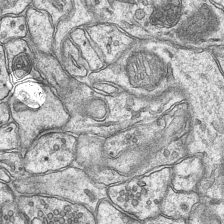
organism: Mouse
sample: CA1 Hippocampus